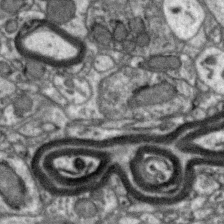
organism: Zebra finch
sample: Brain